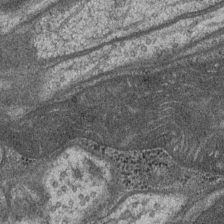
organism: Drosophila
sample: Optic medulla